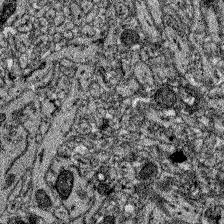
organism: Zebrafish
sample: Larval olfactory bulb